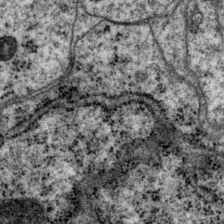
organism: P. pacificus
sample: Pharynx